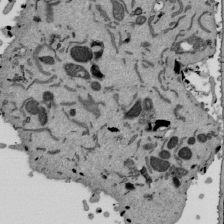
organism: Mouse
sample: ED-1 cell nuclei; centrioles